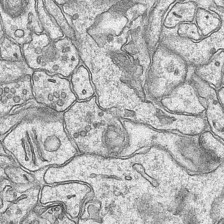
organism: Mouse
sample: CA1 Hippocampus